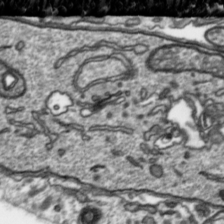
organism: Toxoplasma gondii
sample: Parasites in a vacuole inside a host cell